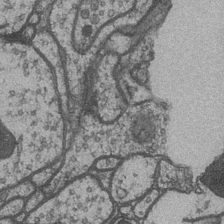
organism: Drosophila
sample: Optic medulla